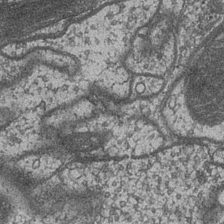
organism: Drosophila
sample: Optic medulla